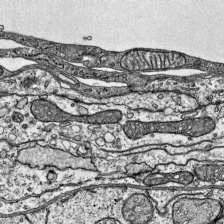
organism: Mouse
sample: Visual Cortex